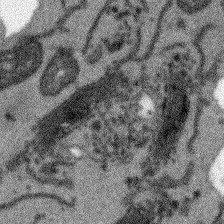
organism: Arabidopsis thaliana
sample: Root tip